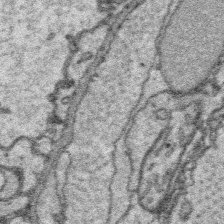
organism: Platynereis dumerilii